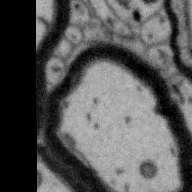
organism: Zebra finch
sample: Brain